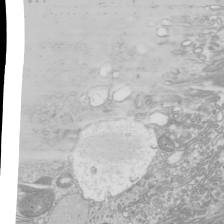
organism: Mouse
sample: Cilia; mouse epididymis